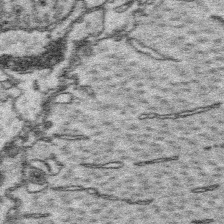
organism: Platynereis dumerilii